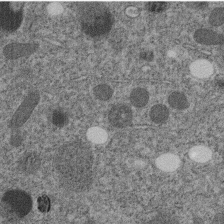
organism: C. elegans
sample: C. elegans embryo early stage